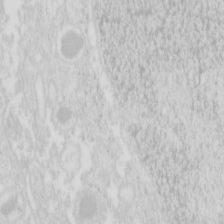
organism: Mouse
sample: Pancreas